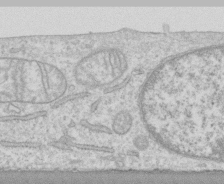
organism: Human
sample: CRL-1474